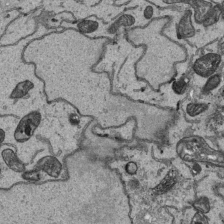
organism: Human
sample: Mitochondria in HCT116 cells